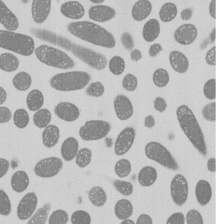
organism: E. coli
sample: Bacterial nucleoid